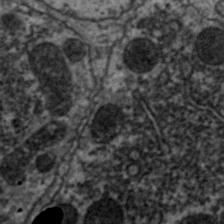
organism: C. elegans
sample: Pharynx